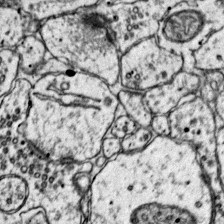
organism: Mouse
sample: Primary visual cortex